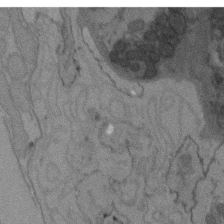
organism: C. elegans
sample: AFD neurons C. elegans